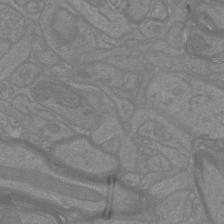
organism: Mouse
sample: Cortical neurons